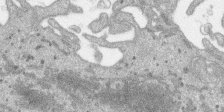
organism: Human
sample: Lung epithelial cells infected with SARS-CoV-2